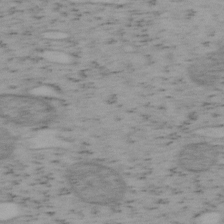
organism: Mouse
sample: OT-I killer T cells with ID8 ovarian cancer cells